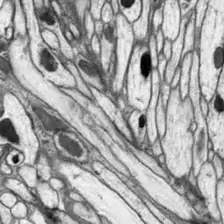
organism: Drosophila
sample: Optic lobe